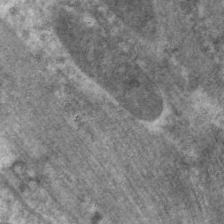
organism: C. elegans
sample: Pharynx